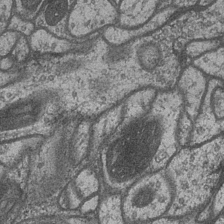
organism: Drosophila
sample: Optic medulla